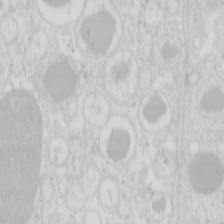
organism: Mouse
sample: Pancreas